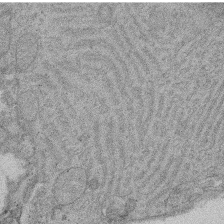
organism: Rat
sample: Salivary granule